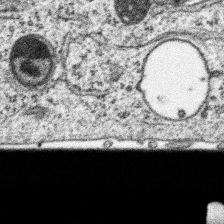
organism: Human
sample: HeLa cells